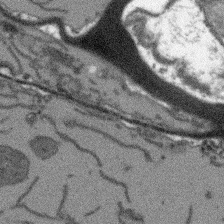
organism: Arabidopsis thaliana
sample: Root tip